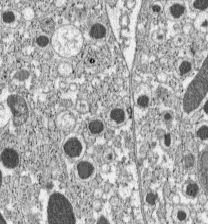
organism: C57BL Mouse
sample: Pancreatic islet